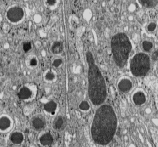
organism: C57BL Mouse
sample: Pancreatic islet